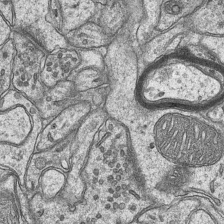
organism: Mouse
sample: CA1 Hippocampus